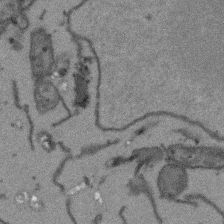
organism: Arabidopsis thaliana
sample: Root tip